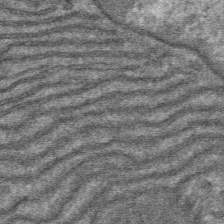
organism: Mouse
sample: Mouse hepatocytes